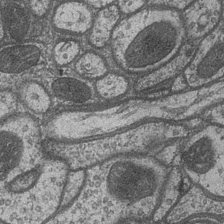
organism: Drosophila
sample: Optic medulla